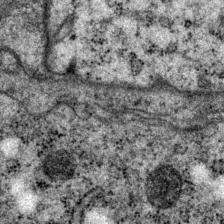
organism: P. pacificus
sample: Pharynx